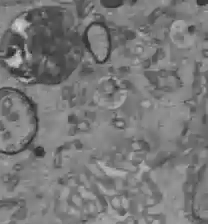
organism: C57BL Mouse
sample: Liver